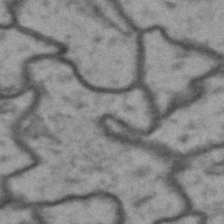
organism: Drosophila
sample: Brain